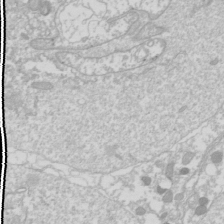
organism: Drosophila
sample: Cell division; meiosis; drosophila spermatocytes